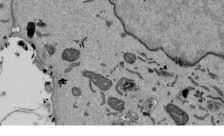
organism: Mouse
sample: ED-1 cell nuclei; centrioles